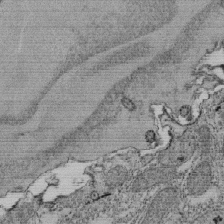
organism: Tetrahymena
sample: Cilia in tetrahymena